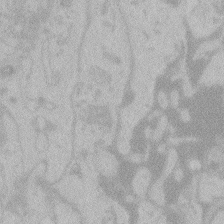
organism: Zebrafish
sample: Macrophage infected with Toxoplasma gondii